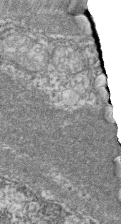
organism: Zebrafish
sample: Cilia; retinal pigment epithelium